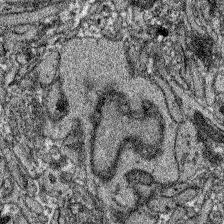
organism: Zebrafish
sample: Larval olfactory bulb